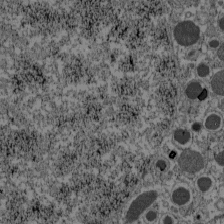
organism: C57BL Mouse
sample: Pancreatic islet